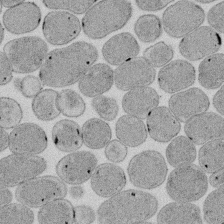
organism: E. coli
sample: Bacterial nucleoid